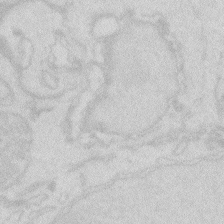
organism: Zebrafish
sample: Macrophage